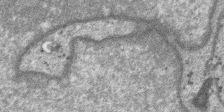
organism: Human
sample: Lung epithelial cells infected with SARS-CoV-2